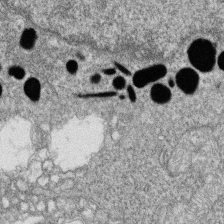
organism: Zebrafish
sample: Cilia; retinal pigment epithelium